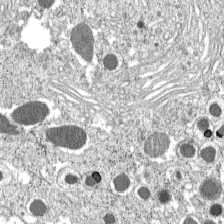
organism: C57BL Mouse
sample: Pancreatic islet